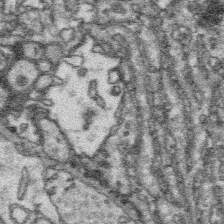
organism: Platynereis dumerilii